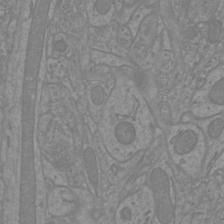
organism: Mouse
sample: Cortical neurons